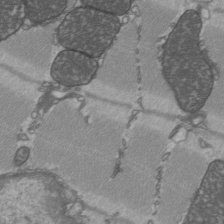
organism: C57BL Mouse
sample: Heart